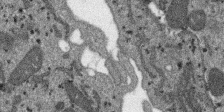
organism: Human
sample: Lung epithelial cells infected with SARS-CoV-2